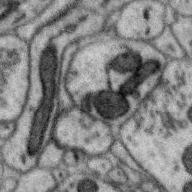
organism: Zebra finch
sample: Brain